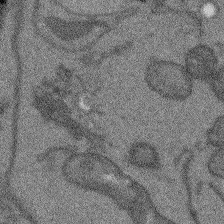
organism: Arabidopsis thaliana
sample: Root tip